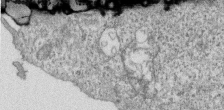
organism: Human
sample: HeLa cell HIV synapse